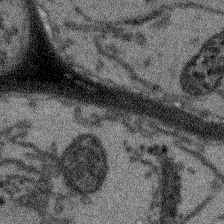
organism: Arabidopsis thaliana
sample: Root tip